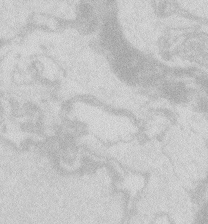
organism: Zebrafish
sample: Macrophage